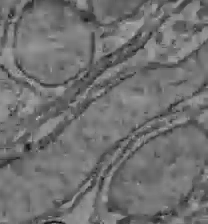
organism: C57BL Mouse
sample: Liver